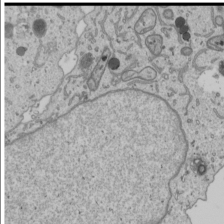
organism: Human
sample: Mitochondria in U2OS cells